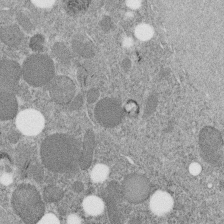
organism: C. elegans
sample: C. elegans embryo early stage